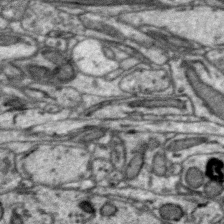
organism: Zebra finch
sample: Brain